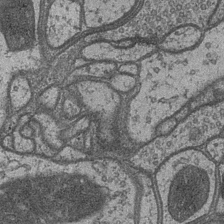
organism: Drosophila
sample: Optic medulla